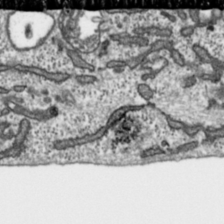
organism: Toxoplasma gondii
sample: Parasites in a vacuole inside a host cell